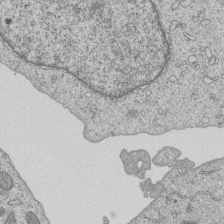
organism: Human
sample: MDA-MB-231 cells